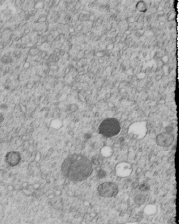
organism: C. elegans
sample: C. elegans embryo early stage